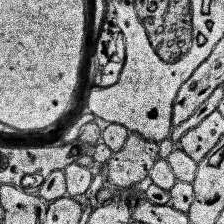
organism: Human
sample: Temporal Lobe